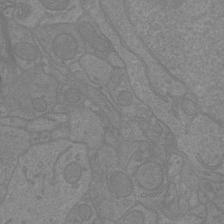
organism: Mouse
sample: Cortical neurons